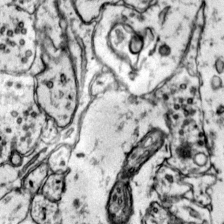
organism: Mouse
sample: Primary visual cortex